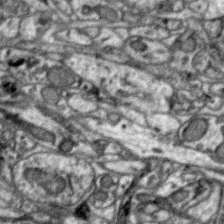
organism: Zebra finch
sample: Brain